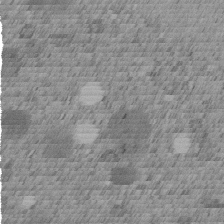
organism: C. elegans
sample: C. elegans embryo early stage